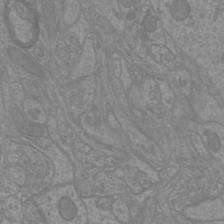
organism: Mouse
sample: Cortical neurons